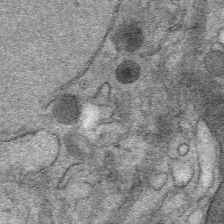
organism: Mouse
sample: Mouse Salivary gland